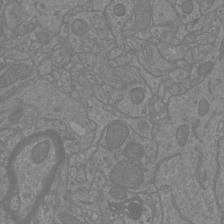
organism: Mouse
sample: Cortical neurons